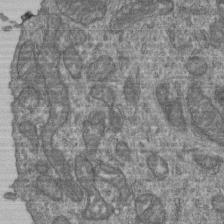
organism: Human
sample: Retinal organoid Rod and Cone cells